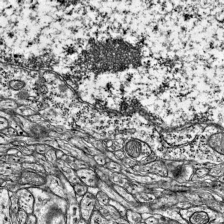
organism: Mouse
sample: Visual Cortex